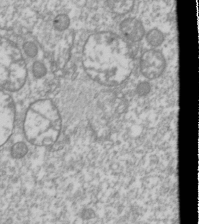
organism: Drosophila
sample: Cell division; meiosis; drosophila spermatocytes